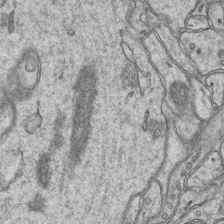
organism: Mouse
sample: CA1 Hippocampus